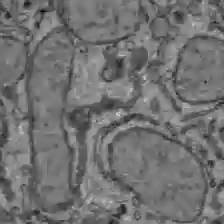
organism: C57BL Mouse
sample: Liver